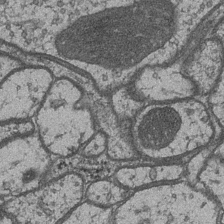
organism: Drosophila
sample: Optic medulla